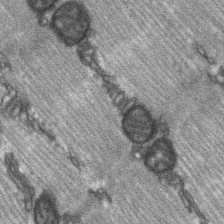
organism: C57BL Mouse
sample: Soleus